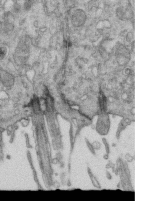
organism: Mouse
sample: Multiciliated cells